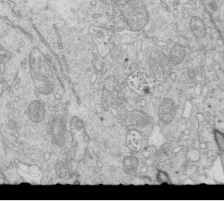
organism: Mouse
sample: Multiciliated cells